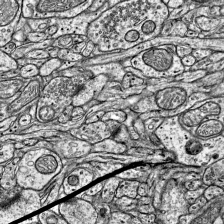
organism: Mouse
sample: Visual Cortex